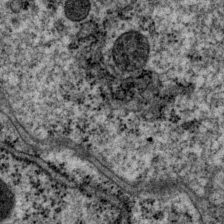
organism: P. pacificus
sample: Pharynx